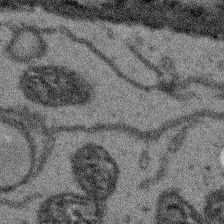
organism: Arabidopsis thaliana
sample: Root tip